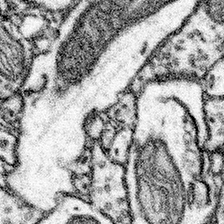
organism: Mouse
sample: Somatosensory cortex neuropil